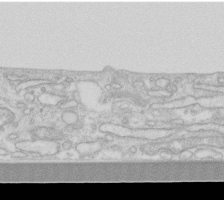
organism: Human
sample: Fibroblast cells